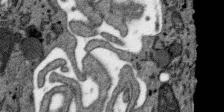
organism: Human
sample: Lung epithelial cells, uninfected (mock) control